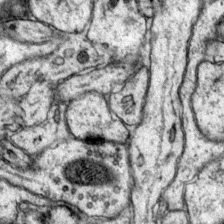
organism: Mouse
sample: Primary visual cortex